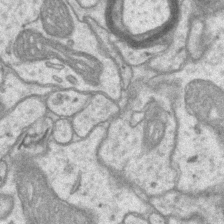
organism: Mouse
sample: CA1 Hippocampus